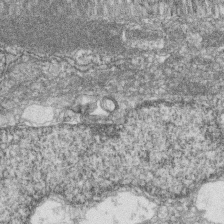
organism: Zebrafish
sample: Cilia; retinal pigment epithelium